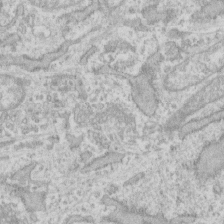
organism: Human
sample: Fibroblast cells